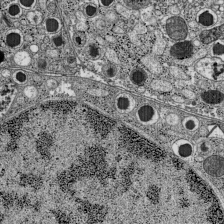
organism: C57BL Mouse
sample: Pancreatic islet